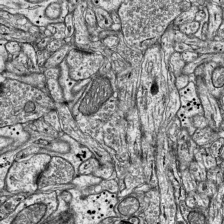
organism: Mouse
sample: Visual Cortex